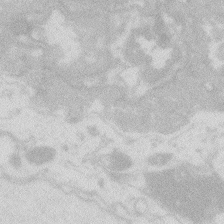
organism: Zebrafish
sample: Macrophage